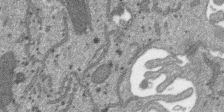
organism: Human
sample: Lung epithelial cells infected with SARS-CoV-2